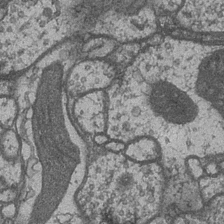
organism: Drosophila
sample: Optic medulla